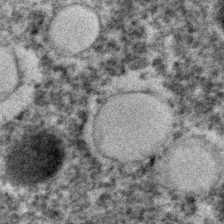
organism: C. elegans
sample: C. elegans embryo